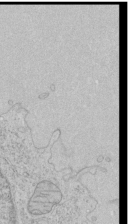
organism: Human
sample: Mitochondria in HCT116 cells